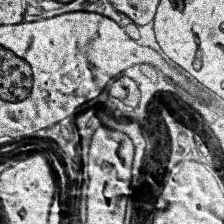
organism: Human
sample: Temporal Lobe